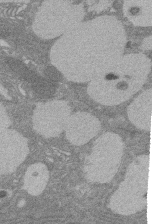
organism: Rat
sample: Salivary granule